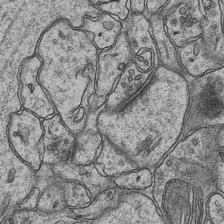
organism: Mouse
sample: CA1 Hippocampus